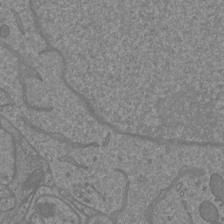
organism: Mouse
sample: Cortical neurons